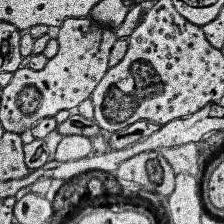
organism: Human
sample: Temporal Lobe